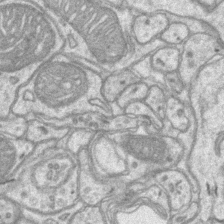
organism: Mouse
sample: CA1 Hippocampus